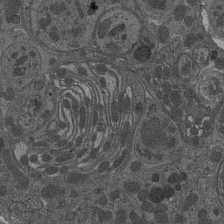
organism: Drosophila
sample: Antenna